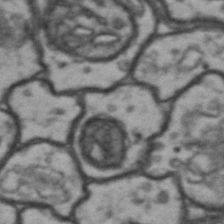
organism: Drosophila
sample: Brain